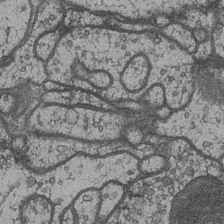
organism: Drosophila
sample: Optic medulla